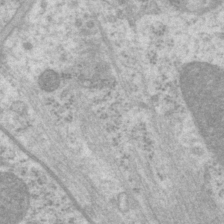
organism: P. pacificus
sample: Pharynx